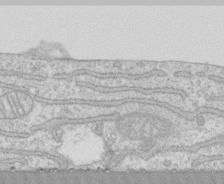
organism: Human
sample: CRL-1474